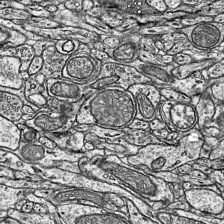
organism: Mouse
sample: Visual Cortex